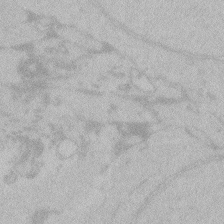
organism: Zebrafish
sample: Macrophage infected with Toxoplasma gondii